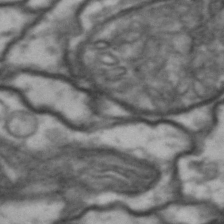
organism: Drosophila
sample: Brain